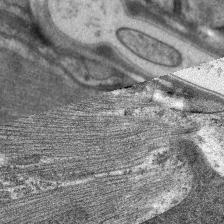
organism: C. elegans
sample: Pharynx